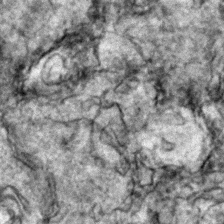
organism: Zebrafish